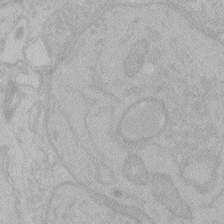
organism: Zebrafish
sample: Macrophage infected with Toxoplasma gondii